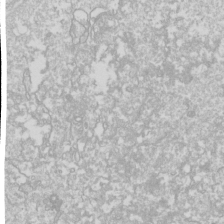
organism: Drosophila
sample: Cell division; meiosis; drosophila spermatocytes